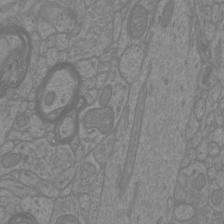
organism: Mouse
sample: Cortical neurons